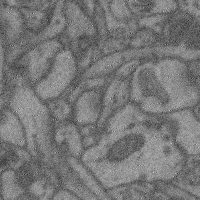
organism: Mouse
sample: Cerebral cortex